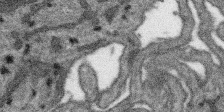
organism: Human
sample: Lung epithelial cells infected with SARS-CoV-2